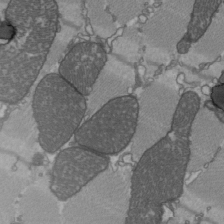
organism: C57BL Mouse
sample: Heart